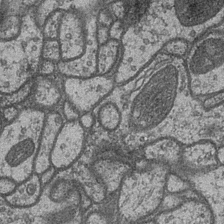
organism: Drosophila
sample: Optic medulla